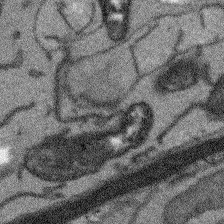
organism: Arabidopsis thaliana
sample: Root tip